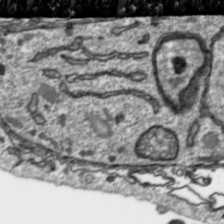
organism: Toxoplasma gondii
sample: Parasites in a vacuole inside a host cell